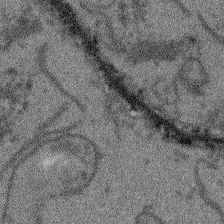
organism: Arabidopsis thaliana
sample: Root tip